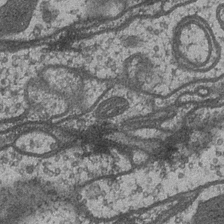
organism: Drosophila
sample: Optic medulla